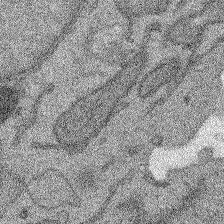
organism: Human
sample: HeLa cells